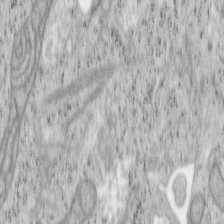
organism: Human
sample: HeLa cells